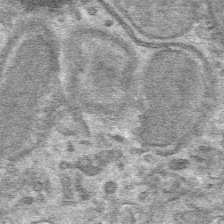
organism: Mouse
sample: Mouse hepatocytes